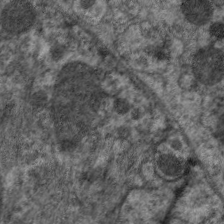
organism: C. elegans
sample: Pharynx